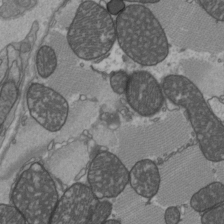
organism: C57BL Mouse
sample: Heart